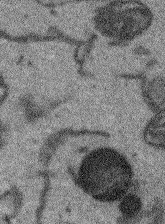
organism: Arabidopsis thaliana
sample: Root tip